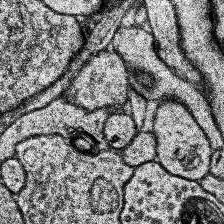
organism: Human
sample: Temporal Lobe